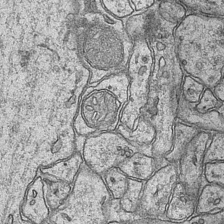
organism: Mouse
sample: CA1 Hippocampus